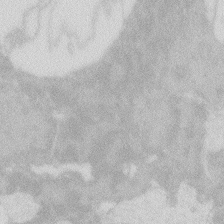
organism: Zebrafish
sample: Macrophage